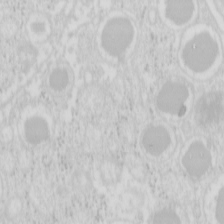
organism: Mouse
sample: Pancreas